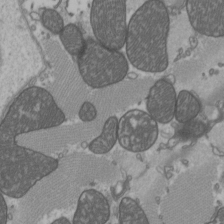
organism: C57BL Mouse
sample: Heart